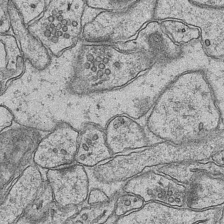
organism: Mouse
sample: CA1 Hippocampus